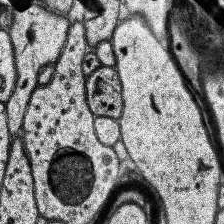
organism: Human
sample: Temporal Lobe